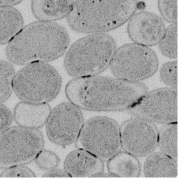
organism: E. coli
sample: Bacterial nucleoid